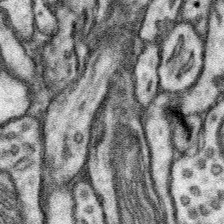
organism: Mouse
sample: Somatosensory cortex neuropil